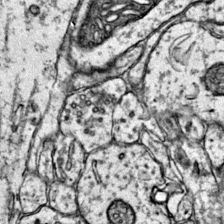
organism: Mouse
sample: Primary visual cortex